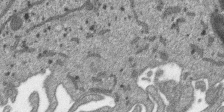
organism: Human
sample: Lung epithelial cells infected with SARS-CoV-2